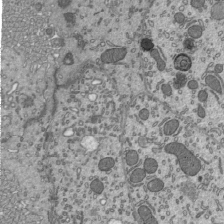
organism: Mouse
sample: Mouse epididymis efferent ductule cilia